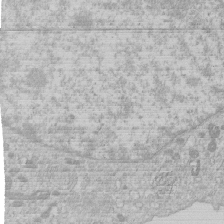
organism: Human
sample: Macrophage cells